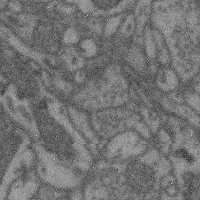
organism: Mouse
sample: Cerebral cortex